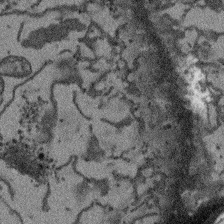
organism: Arabidopsis thaliana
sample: Root tip